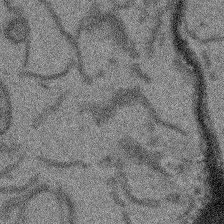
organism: Arabidopsis thaliana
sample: Root tip